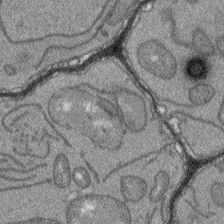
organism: Arabidopsis thaliana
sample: Root tip